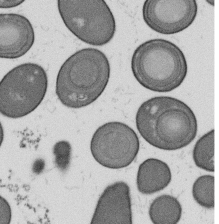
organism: B. subtilis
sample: Bacterial spore